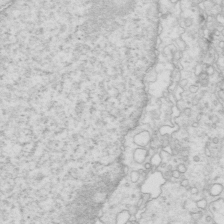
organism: Mouse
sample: Multiciliated cells